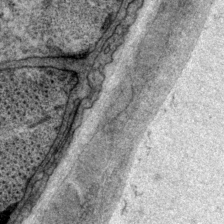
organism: P. pacificus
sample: Pharynx